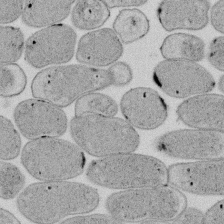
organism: E. coli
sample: Bacterial nucleoid